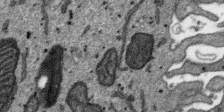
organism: Human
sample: Lung epithelial cells, uninfected (mock) control